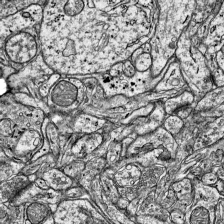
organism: Mouse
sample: Visual Cortex